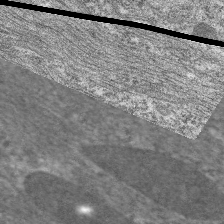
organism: C. elegans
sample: Pharynx